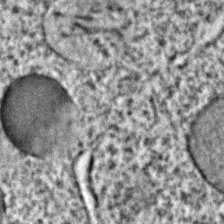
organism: C. elegans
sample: C. elegans embryo